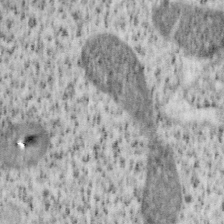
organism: Mouse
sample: OT-I killer T cells with ID8 ovarian cancer cells